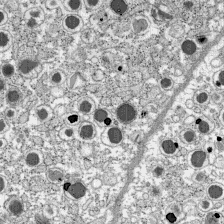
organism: C57BL Mouse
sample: Pancreatic islet